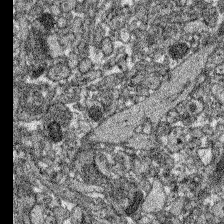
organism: Zebrafish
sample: Larval olfactory bulb